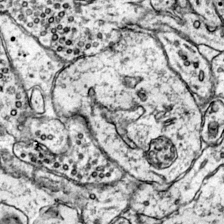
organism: Mouse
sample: Primary visual cortex